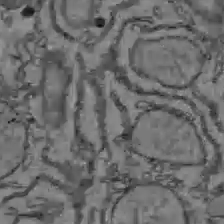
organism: C57BL Mouse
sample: Liver